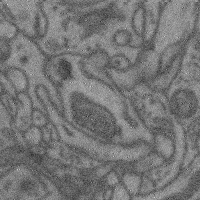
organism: Mouse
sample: Cerebral cortex